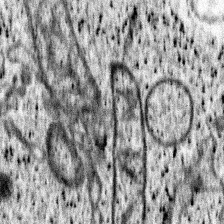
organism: Human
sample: HeLa cells